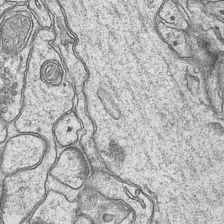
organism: Mouse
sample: CA1 Hippocampus